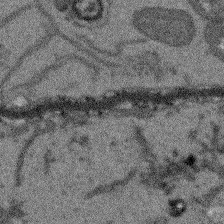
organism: Arabidopsis thaliana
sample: Root tip